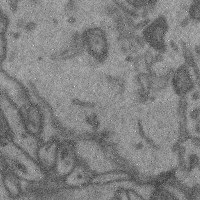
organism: Mouse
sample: Cerebral cortex